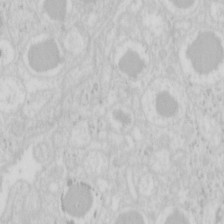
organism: Mouse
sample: Pancreas